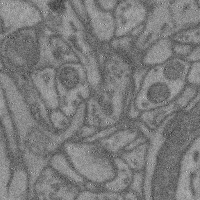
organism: Mouse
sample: Cerebral cortex